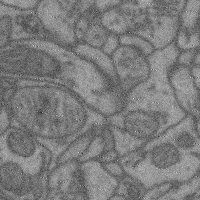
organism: Mouse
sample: Cerebral cortex